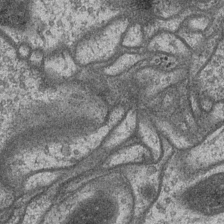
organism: Drosophila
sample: Optic medulla